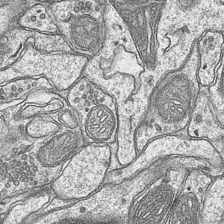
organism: Mouse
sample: CA1 Hippocampus